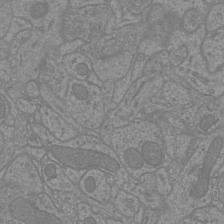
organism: Mouse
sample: Cortical neurons